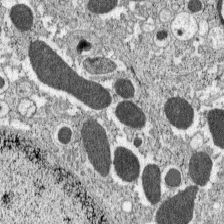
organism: C57BL Mouse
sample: Pancreatic islet